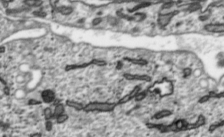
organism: Toxoplasma gondii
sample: Parasites in a vacuole inside a host cell